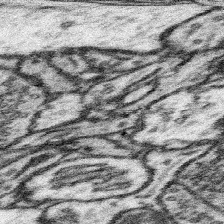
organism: Mouse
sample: Somatosensory cortex neuropil